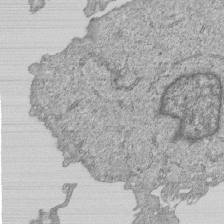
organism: Human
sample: MDA-MB-231 cells